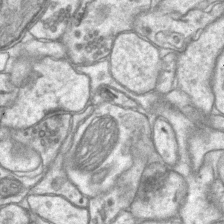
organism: Mouse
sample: CA1 Hippocampus